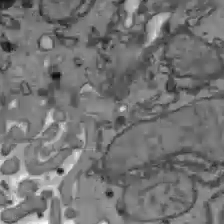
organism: C57BL Mouse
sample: Liver